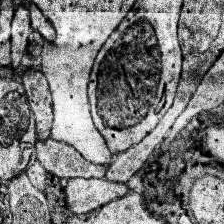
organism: Human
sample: Temporal Lobe